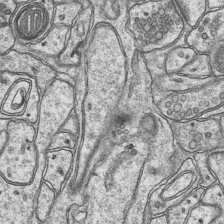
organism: Mouse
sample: CA1 Hippocampus